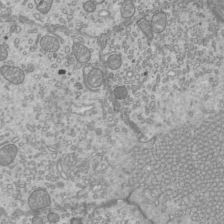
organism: Mouse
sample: Cilia; mouse epididymis